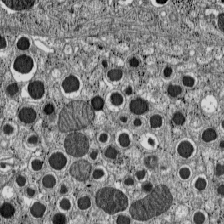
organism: C57BL Mouse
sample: Pancreatic islet